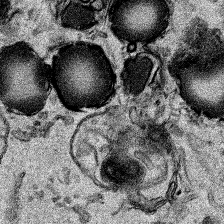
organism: Human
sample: Mitochondria in HCT116 cells